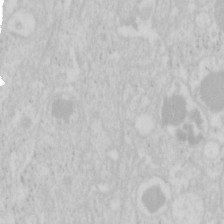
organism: Mouse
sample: Pancreas